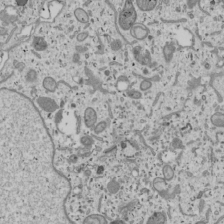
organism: Human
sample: Mitochondria in U2OS cells